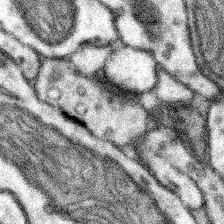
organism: Mouse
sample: Somatosensory cortex neuropil